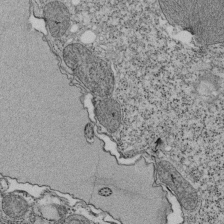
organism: Tetrahymena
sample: Cilia in tetrahymena